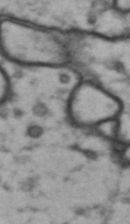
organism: Drosophila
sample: Brain